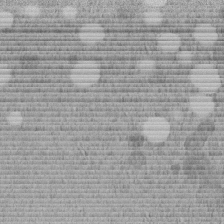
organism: C. elegans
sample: C. elegans embryo early stage